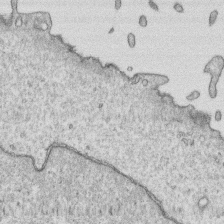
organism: Human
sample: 1205lu cells